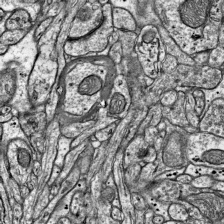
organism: Mouse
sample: Visual Cortex